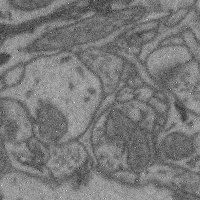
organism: Mouse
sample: Cerebral cortex